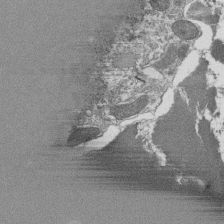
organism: Tetrahymena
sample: Cilia in tetrahymena